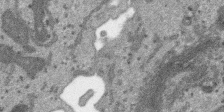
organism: Human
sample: Lung epithelial cells infected with SARS-CoV-2